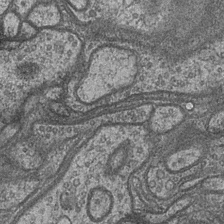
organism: Drosophila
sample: Optic medulla